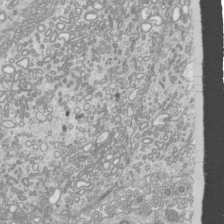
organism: Mouse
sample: Cilia; mouse epididymis